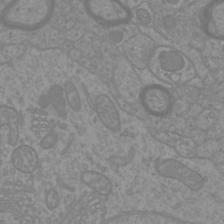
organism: Mouse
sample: Cortical neurons